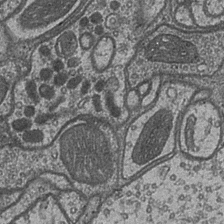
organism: Drosophila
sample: Optic medulla